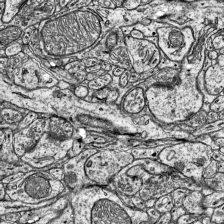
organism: Mouse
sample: Visual Cortex